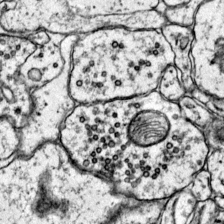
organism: Mouse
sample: Primary visual cortex